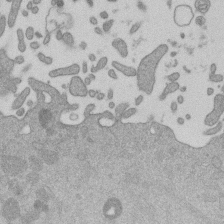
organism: Mouse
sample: Dividing mouse embryo 1 cell stage